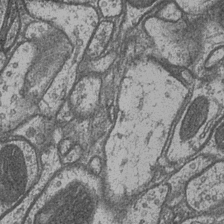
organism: Drosophila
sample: Optic medulla